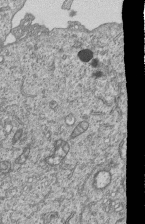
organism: Human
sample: MDA-MB-231 cells